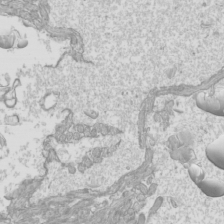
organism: Mouse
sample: Cilia; mouse epididymis